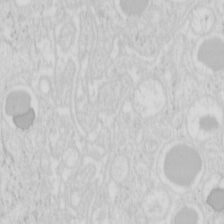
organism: Mouse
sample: Pancreas